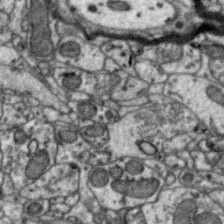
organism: Zebra finch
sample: Brain